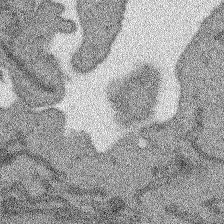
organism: Human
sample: HeLa cells